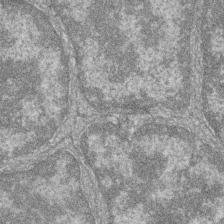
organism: Zebrafish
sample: Cilia; retinal pigment epithelium